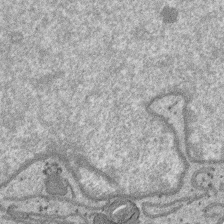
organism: Human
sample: Lung epithelial cells infected with SARS-CoV-2